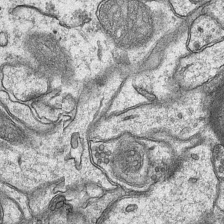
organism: Mouse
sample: CA1 Hippocampus